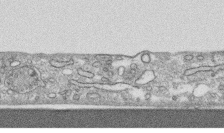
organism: Human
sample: CRL-1474